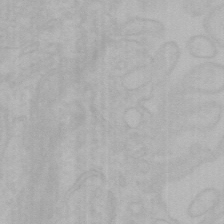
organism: Mouse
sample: Choroid plexus